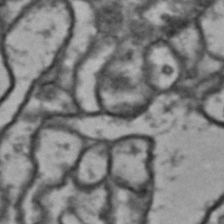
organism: Drosophila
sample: Brain